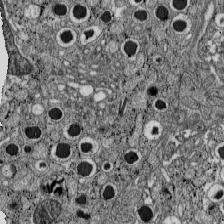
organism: C57BL Mouse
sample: Pancreatic islet